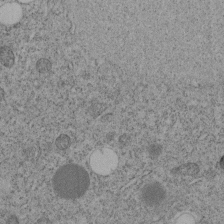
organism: C. elegans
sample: C. elegans embryo early stage